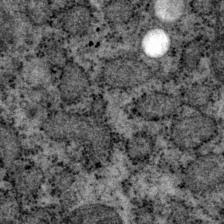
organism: P. pacificus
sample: Pharynx